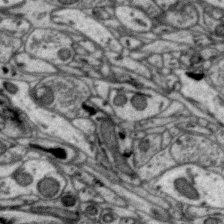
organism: Zebra finch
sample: Brain